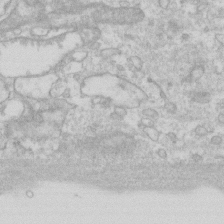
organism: Human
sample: Fibroblast cells